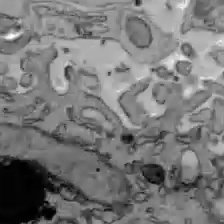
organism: C57BL Mouse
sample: Liver